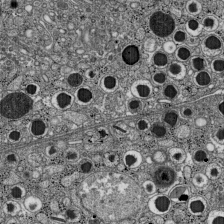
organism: C57BL Mouse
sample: Pancreatic islet